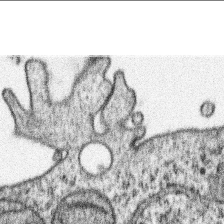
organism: Human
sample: HeLa cells